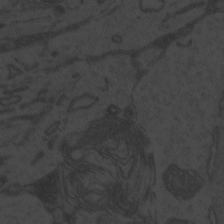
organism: Zebrafish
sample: Macrophage infected with Toxoplasma gondii